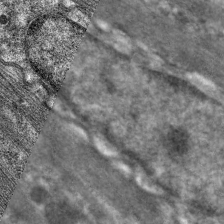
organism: C. elegans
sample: Pharynx